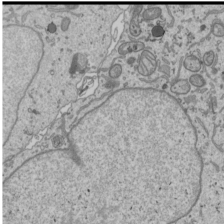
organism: Human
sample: Mitochondria in U2OS cells